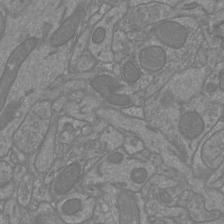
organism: Mouse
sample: Cortical neurons